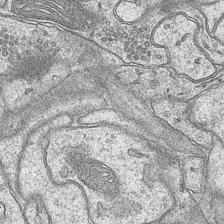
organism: Mouse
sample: CA1 Hippocampus